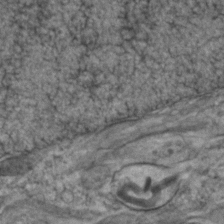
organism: Zebrafish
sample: Zebrafish embryo